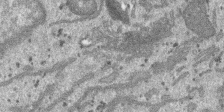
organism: Human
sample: Lung epithelial cells infected with SARS-CoV-2